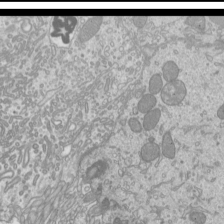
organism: Mouse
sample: Cilia; mouse epididymis